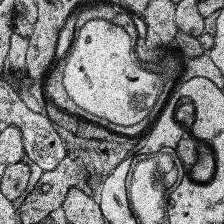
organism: Human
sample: Temporal Lobe